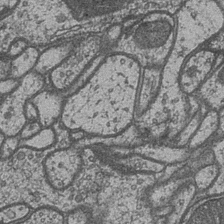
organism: Drosophila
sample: Optic medulla